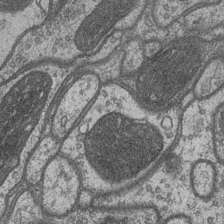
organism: Drosophila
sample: Optic medulla